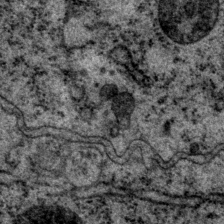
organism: P. pacificus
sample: Pharynx